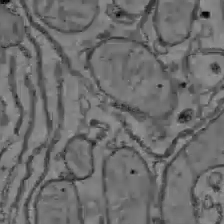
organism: C57BL Mouse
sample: Liver